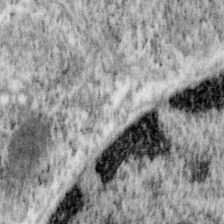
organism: Mouse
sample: OT-I killer T cells with ID8 ovarian cancer cells